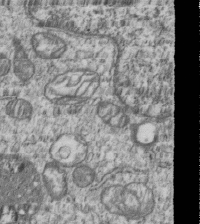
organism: Human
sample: MDA-MB-231 cells